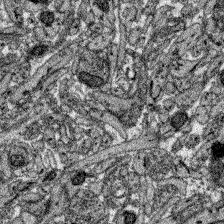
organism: Zebrafish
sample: Larval olfactory bulb